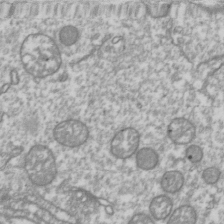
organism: Drosophila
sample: Cell division; meiosis; drosophila spermatocytes